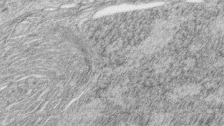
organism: Zebrafish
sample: synaptic ribbons in rod cells and cone cells